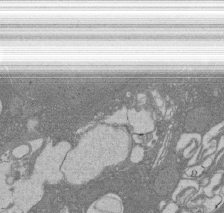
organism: Rat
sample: Salivary granule